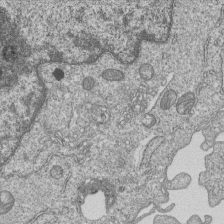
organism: Human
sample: MDA-MB-231 cells